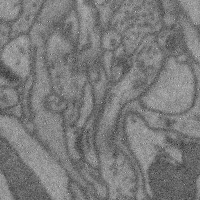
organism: Mouse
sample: Cerebral cortex